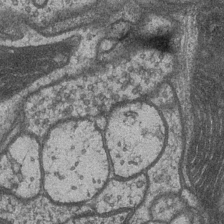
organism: Drosophila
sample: Optic medulla